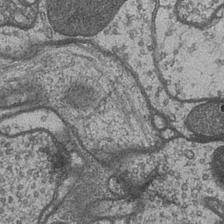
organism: Drosophila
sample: Optic medulla